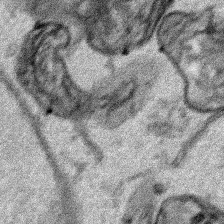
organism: Human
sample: Mitochondria in HCT116 cells